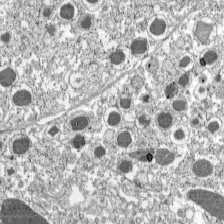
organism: C57BL Mouse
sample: Pancreatic islet